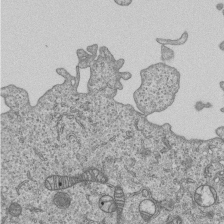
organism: Human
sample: MDA-MB-231 cells